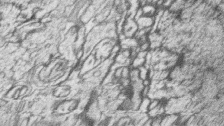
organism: Zebrafish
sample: synaptic ribbons in rod cells and cone cells